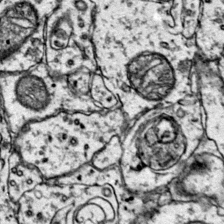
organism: Mouse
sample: Primary visual cortex